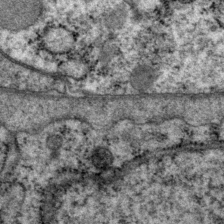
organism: P. pacificus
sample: Pharynx